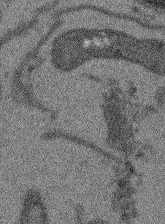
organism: Arabidopsis thaliana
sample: Root tip